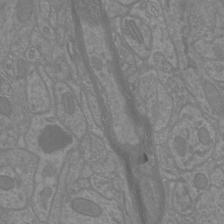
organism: Mouse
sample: Cortical neurons